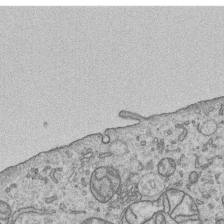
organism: Human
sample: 1205lu cells